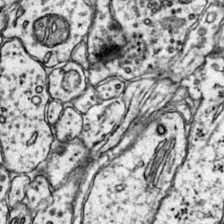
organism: Mouse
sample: Primary visual cortex